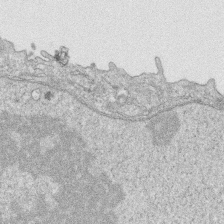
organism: Human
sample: HeLa cell HIV synapse